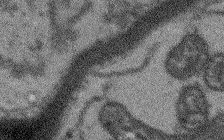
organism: Arabidopsis thaliana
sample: Root tip